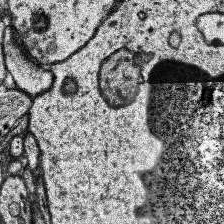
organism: Human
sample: Temporal Lobe